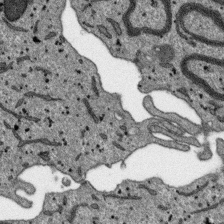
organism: Human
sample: Lung epithelial cells, uninfected (mock) control